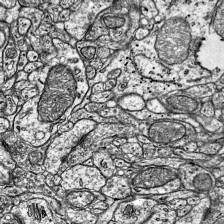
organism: Mouse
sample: Visual Cortex